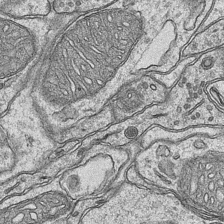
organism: Mouse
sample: CA1 Hippocampus